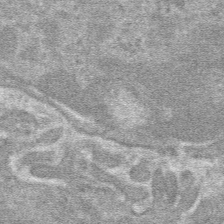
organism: Mouse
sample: Mouse hepatocytes